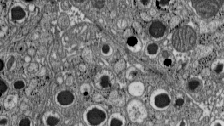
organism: C57BL Mouse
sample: Pancreatic islet